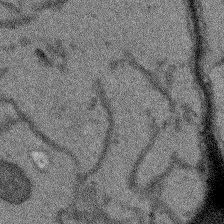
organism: Arabidopsis thaliana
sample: Root tip